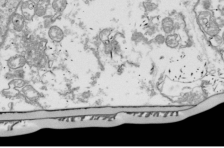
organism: Drosophila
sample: Cell division; meiosis; drosophila spermatocytes